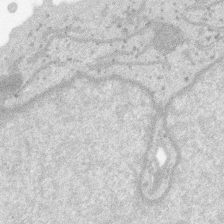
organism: Human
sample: Lung epithelial cells infected with SARS-CoV-2